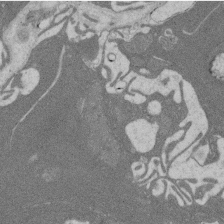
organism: Rat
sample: Salivary granule